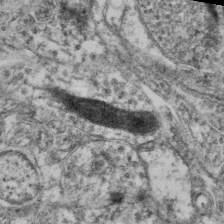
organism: Mouse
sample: Neocortex